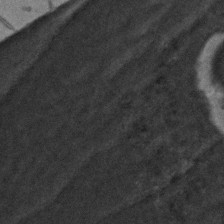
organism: Zebrafish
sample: Zebrafish embryo